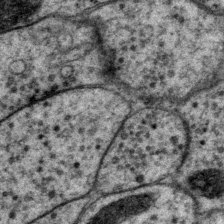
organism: P. pacificus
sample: Pharynx